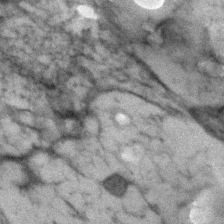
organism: Human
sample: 1205lu cells